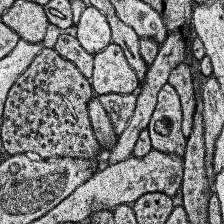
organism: Human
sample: Temporal Lobe